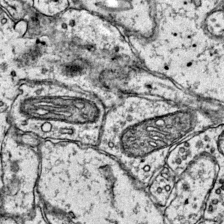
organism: Mouse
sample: Primary visual cortex